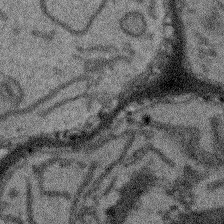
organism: Arabidopsis thaliana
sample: Root tip